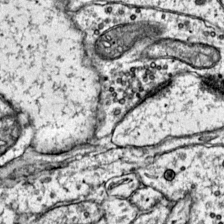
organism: Mouse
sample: Primary visual cortex